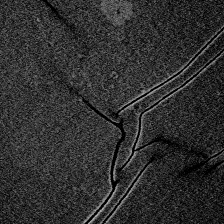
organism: Zebrafish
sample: Whole-Brain